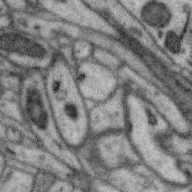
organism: Zebra finch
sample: Brain